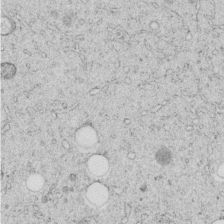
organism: C. elegans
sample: C. elegans embryo early stage